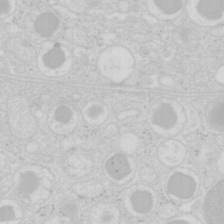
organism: Mouse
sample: Pancreas